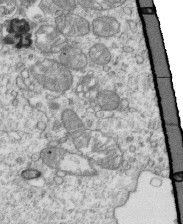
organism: Mouse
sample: Activated OT-1 CD8+ T cells